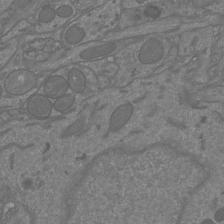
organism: Mouse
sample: Cortical neurons